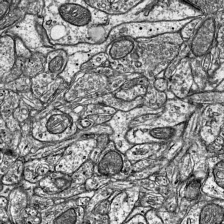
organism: Mouse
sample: Visual Cortex